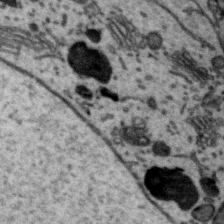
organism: Zebra finch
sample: Brain